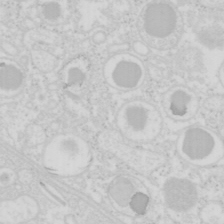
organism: Mouse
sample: Pancreas